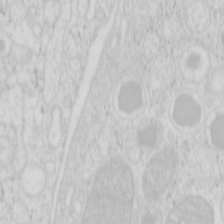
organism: Mouse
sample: Pancreas